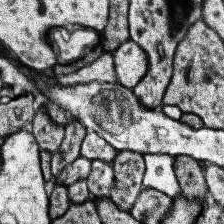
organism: Human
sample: Temporal Lobe